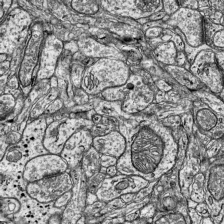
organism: Mouse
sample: Visual Cortex